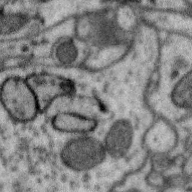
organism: Zebra finch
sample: Brain